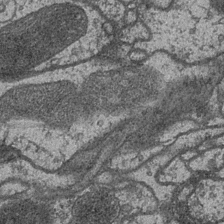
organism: Drosophila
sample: Optic medulla